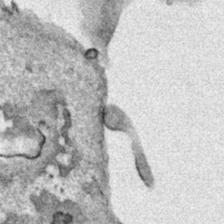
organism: Human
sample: Mitochondria in HCT116 cells